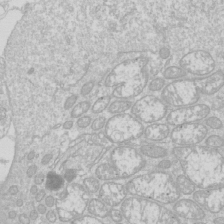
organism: Drosophila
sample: Cell division; meiosis; drosophila spermatocytes